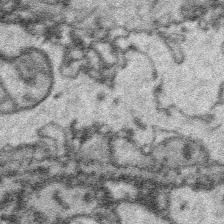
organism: Platynereis dumerilii